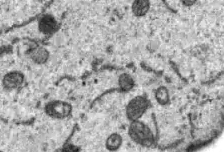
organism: Human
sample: HeLa cells